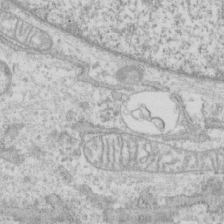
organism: Human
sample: CRL-1474